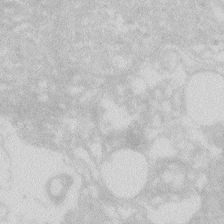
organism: Zebrafish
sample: Macrophage